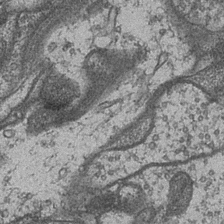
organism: Drosophila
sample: Optic medulla